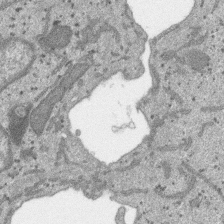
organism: Human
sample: Lung epithelial cells infected with SARS-CoV-2